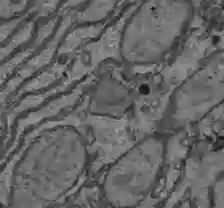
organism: C57BL Mouse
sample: Liver